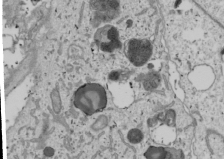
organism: Human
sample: Mitochondria in U2OS cells